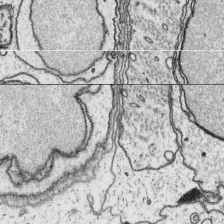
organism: Platynereis dumerilii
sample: Parapodia